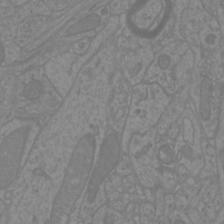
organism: Mouse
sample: Cortical neurons